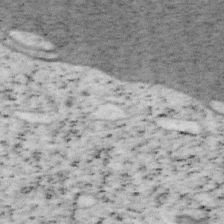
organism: Mouse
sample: OT-I killer T cells with ID8 ovarian cancer cells